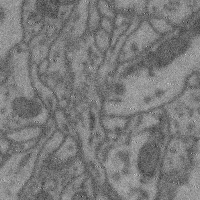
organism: Mouse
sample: Cerebral cortex